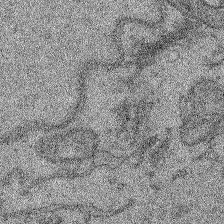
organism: Human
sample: HeLa cells